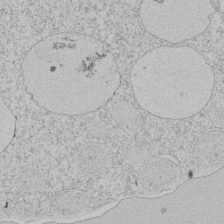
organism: Tetrahymena